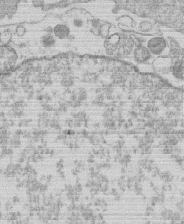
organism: Human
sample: Macrophage cells